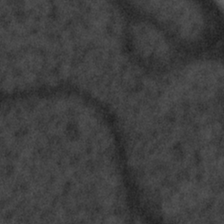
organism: Tuwongella immobilis